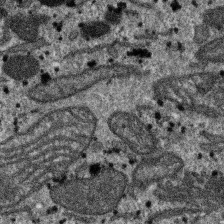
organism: Human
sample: Lung epithelial cells infected with SARS-CoV-2